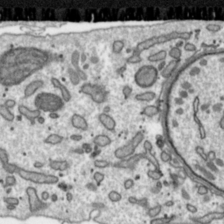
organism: Toxoplasma gondii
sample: Parasites in a vacuole inside a host cell